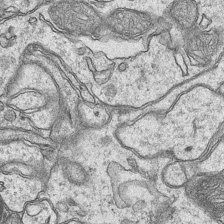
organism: Mouse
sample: CA1 Hippocampus